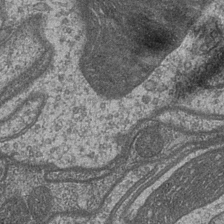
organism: Drosophila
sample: Optic medulla